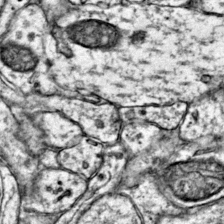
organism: Mouse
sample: Primary visual cortex